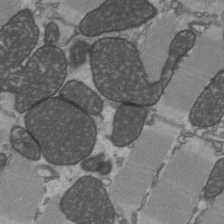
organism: C57BL Mouse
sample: Heart